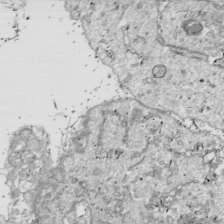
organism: Drosophila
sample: Cell division; meiosis; drosophila spermatocytes